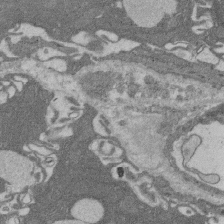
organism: Rat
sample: Salivary granule